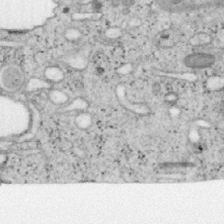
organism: Mouse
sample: OT-I killer T cells with ID8 ovarian cancer cells